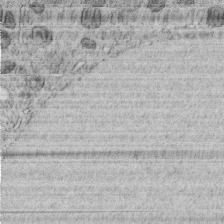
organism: C. elegans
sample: C. elegans embryo early stage